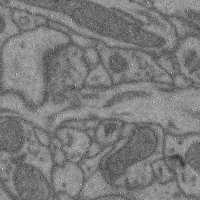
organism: Mouse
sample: Cerebral cortex